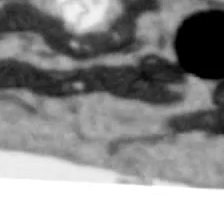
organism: Human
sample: SH-SY5Y cells